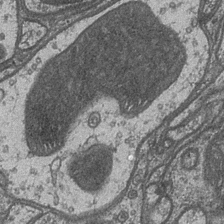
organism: Drosophila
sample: Optic medulla